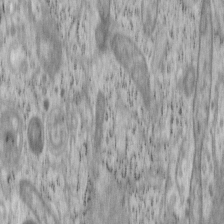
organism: Human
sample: HeLa cells